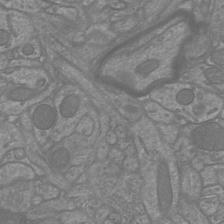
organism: Mouse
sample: Cortical neurons